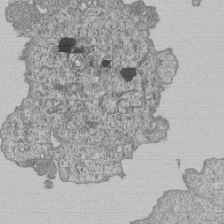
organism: Human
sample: MDA-MB-231 cells